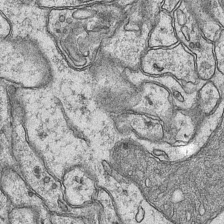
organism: Mouse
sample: CA1 Hippocampus